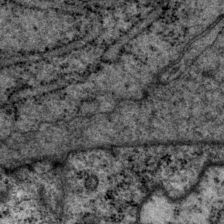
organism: P. pacificus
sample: Pharynx